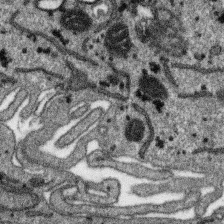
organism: Human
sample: Lung epithelial cells infected with SARS-CoV-2